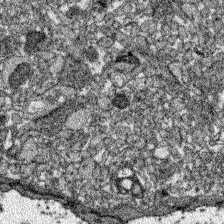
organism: Zebrafish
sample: Larval olfactory bulb